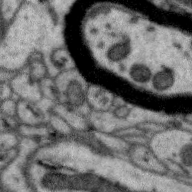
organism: Zebra finch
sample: Brain